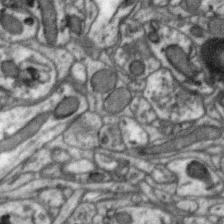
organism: Zebra finch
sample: Brain